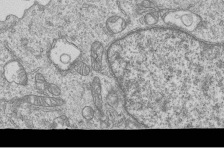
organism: Human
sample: MDA-MB-231 cells